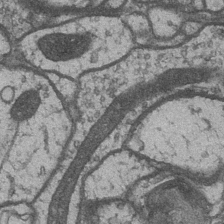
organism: Drosophila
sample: Optic medulla